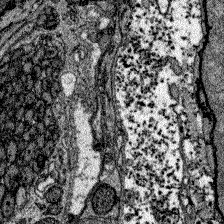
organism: Zebrafish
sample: Larval olfactory bulb